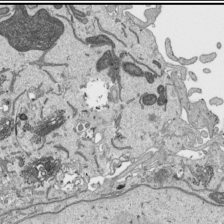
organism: Human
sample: Mitochondria in HCT116 cells